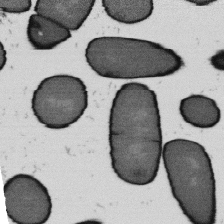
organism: B. subtilis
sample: Bacterial spore